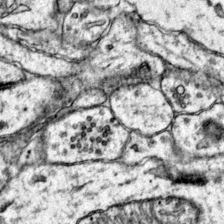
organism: Mouse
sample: Primary visual cortex